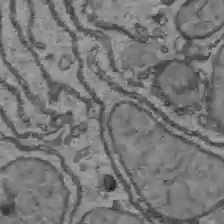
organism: C57BL Mouse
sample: Liver